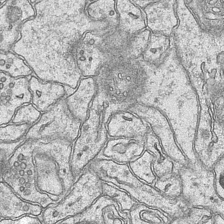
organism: Mouse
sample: CA1 Hippocampus